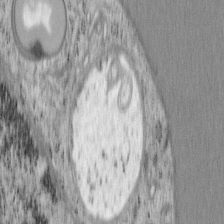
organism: Human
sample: HeLa cells